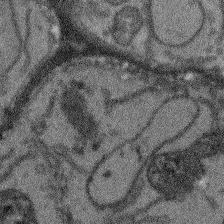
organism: Arabidopsis thaliana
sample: Root tip